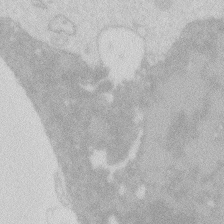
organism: Zebrafish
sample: Macrophage